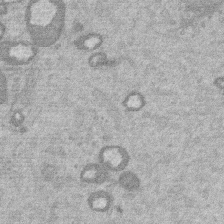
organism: Mouse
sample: Dividing mouse embryo 1 cell stage